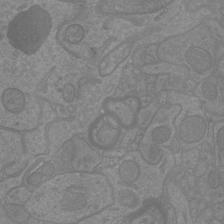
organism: Mouse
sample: Cortical neurons